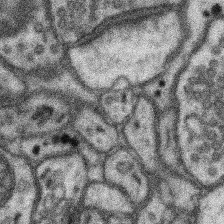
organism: Mouse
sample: Somatosensory cortex neuropil